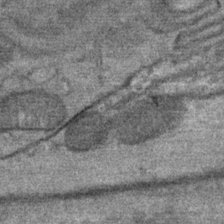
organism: Mouse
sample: Mouse Salivary gland